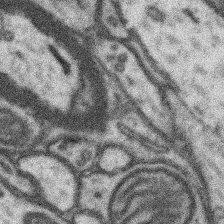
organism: Mouse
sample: Somatosensory cortex neuropil